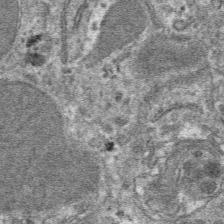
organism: Mouse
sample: Mouse hepatocytes